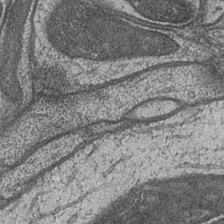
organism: Drosophila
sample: Optic medulla